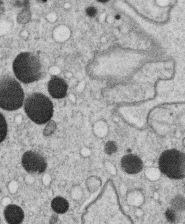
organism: C. elegans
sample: C. elegans oocyte; sperm cells